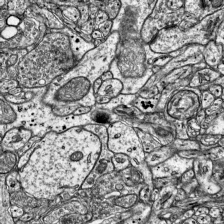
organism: Mouse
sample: Visual Cortex